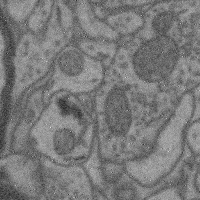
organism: Mouse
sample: Cerebral cortex